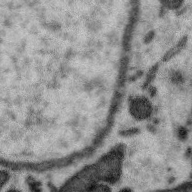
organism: Zebra finch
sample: Brain